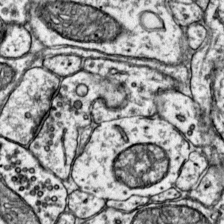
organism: Mouse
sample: Primary visual cortex